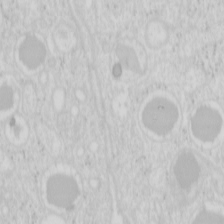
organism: Mouse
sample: Pancreas